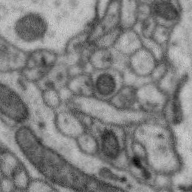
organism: Zebra finch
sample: Brain